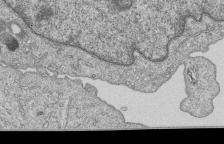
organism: Human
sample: MDA-MB-231 cells